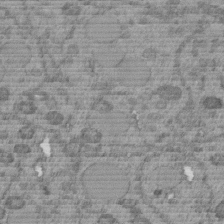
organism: C. elegans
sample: C. elegans embryo early stage